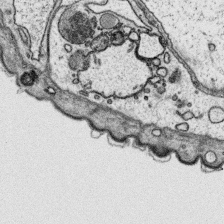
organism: Platynereis dumerilii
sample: Parapodia